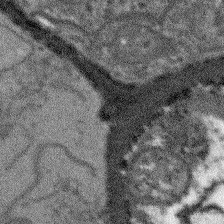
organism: Arabidopsis thaliana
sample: Root tip